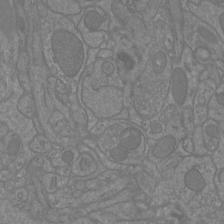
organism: Mouse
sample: Cortical neurons